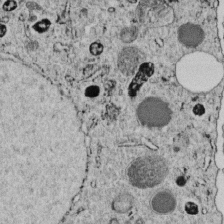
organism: C. elegans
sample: C. elegans embryo early stage